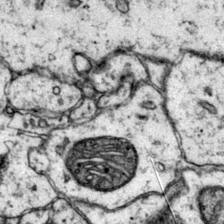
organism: Mouse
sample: Primary visual cortex